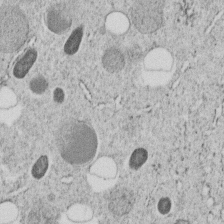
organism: C. elegans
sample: C. elegans embryo early stage